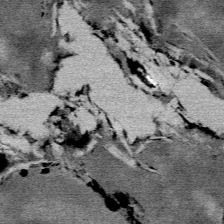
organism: Mouse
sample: Mouse Salivary gland